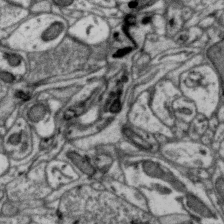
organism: Zebra finch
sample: Brain